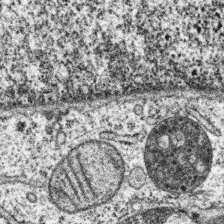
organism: Human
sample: HeLa cells